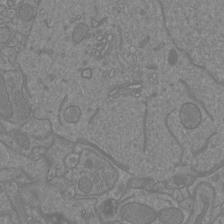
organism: Mouse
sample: Cortical neurons